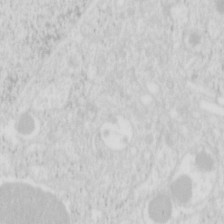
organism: Mouse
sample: Pancreas